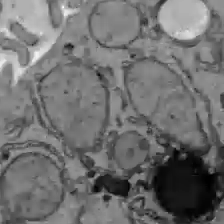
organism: C57BL Mouse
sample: Liver